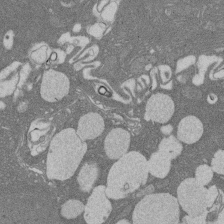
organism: Rat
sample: Salivary granule